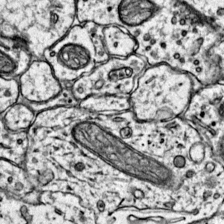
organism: Mouse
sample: Primary visual cortex